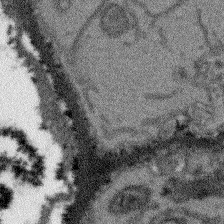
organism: Arabidopsis thaliana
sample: Root tip